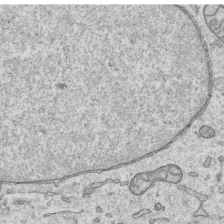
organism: Human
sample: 1205lu cells